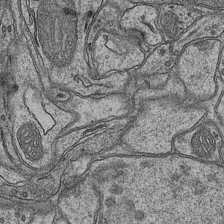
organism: Mouse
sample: CA1 Hippocampus